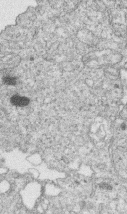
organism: Human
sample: HeLa cell HIV synapse